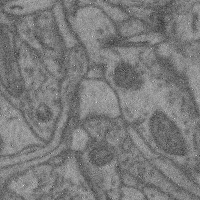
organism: Mouse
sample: Cerebral cortex